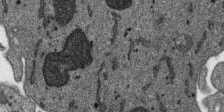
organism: Human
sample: Lung epithelial cells infected with SARS-CoV-2